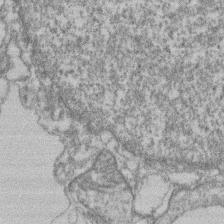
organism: Mouse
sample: T cell stromal cell synapse